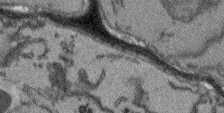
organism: Arabidopsis thaliana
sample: Root tip